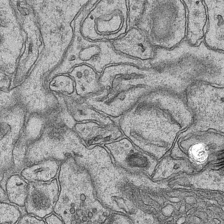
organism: Mouse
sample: CA1 Hippocampus